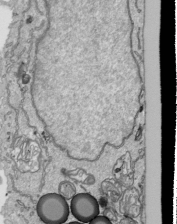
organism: Human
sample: Mitochondria in HCT116 cells